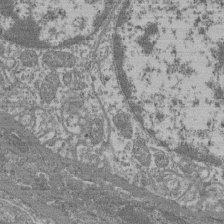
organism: Mouse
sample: Glomerulus